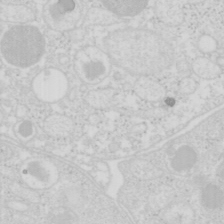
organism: Mouse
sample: Pancreas